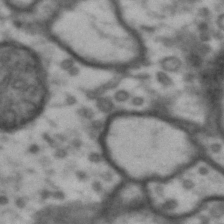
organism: Drosophila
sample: Brain